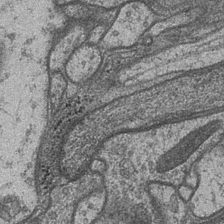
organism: Drosophila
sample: Optic medulla